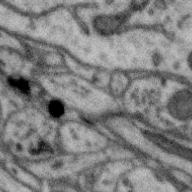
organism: Zebra finch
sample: Brain